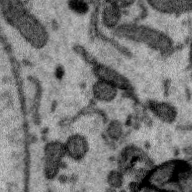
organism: Zebra finch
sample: Brain